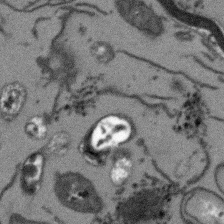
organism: Arabidopsis thaliana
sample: Root tip